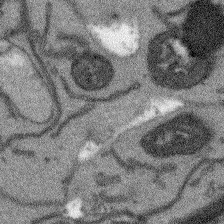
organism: Arabidopsis thaliana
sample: Root tip